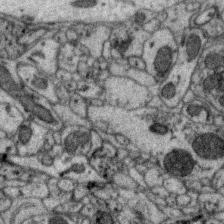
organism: Zebra finch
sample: Brain